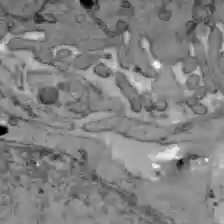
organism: C57BL Mouse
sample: Liver